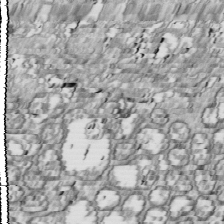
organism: Drosophila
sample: Cell division; meiosis; drosophila spermatocytes